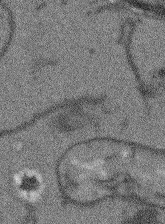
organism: Arabidopsis thaliana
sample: Root tip